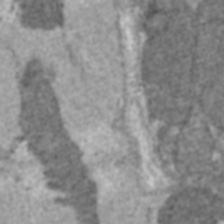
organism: C57BL Mouse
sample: Heart